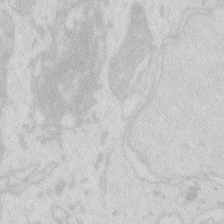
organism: Zebrafish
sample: Macrophage